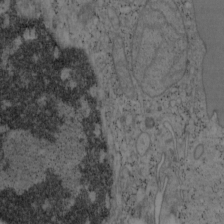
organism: Mouse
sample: OT-I killer T cells with ID8 ovarian cancer cells